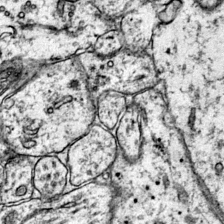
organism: Mouse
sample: Primary visual cortex